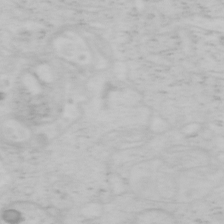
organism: Mouse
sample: OT-I killer T cells with ID8 ovarian cancer cells